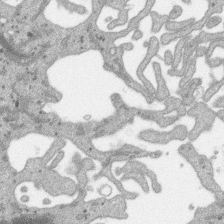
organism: Human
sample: Lung epithelial cells infected with SARS-CoV-2